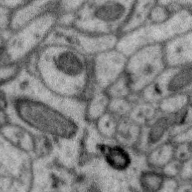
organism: Zebra finch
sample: Brain